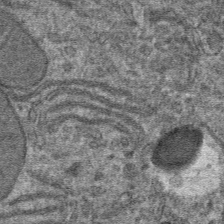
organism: Mouse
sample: Mouse hepatocytes